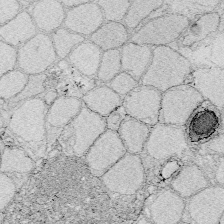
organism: Zebrafish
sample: Whole-Brain